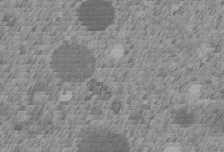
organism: C. elegans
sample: C. elegans embryo early stage